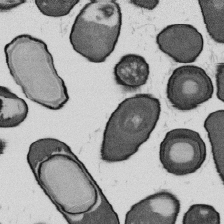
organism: B. subtilis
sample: Bacterial spore